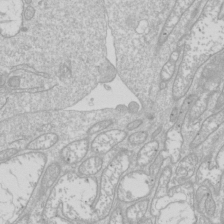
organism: Drosophila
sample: Cell division; meiosis; drosophila spermatocytes